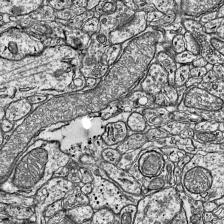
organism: Mouse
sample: Visual Cortex